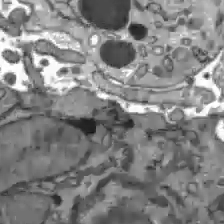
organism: C57BL Mouse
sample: Liver